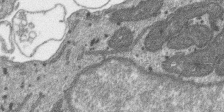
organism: Human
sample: Lung epithelial cells infected with SARS-CoV-2